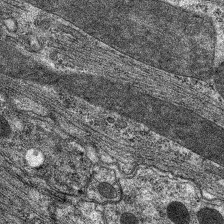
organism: C. elegans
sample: Pharynx